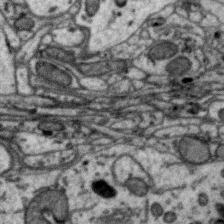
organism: Zebra finch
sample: Brain